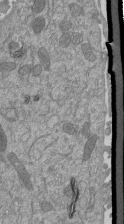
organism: Mouse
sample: ED-1 cell nuclei; centrioles